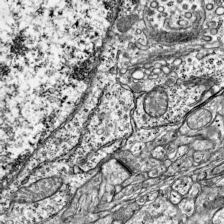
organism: Mouse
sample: Visual Cortex